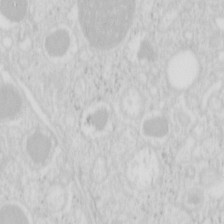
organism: Mouse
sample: Pancreas